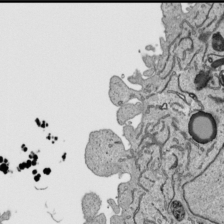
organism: Human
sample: Mitochondria in HCT116 cells